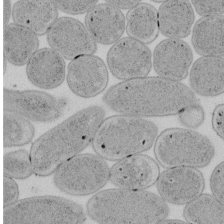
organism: E. coli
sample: Bacterial nucleoid